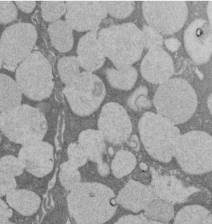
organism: Rat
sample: Salivary granule